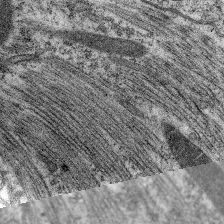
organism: C. elegans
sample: Pharynx